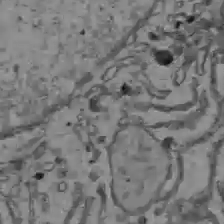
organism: C57BL Mouse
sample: Liver